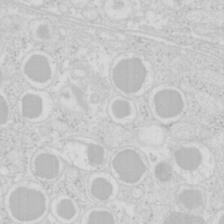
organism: Mouse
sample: Pancreas